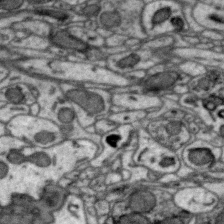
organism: Zebra finch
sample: Brain